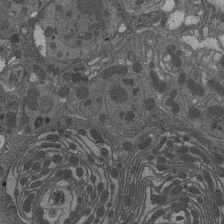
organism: Drosophila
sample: Antenna